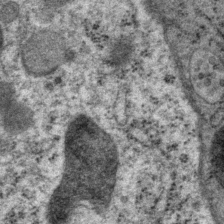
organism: P. pacificus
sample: Pharynx